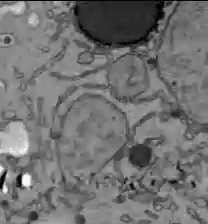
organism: C57BL Mouse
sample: Liver